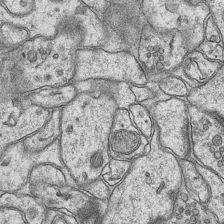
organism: Mouse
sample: CA1 Hippocampus